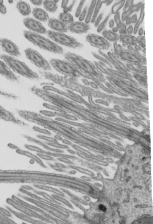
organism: Mouse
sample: Mouse epididymis efferent ductule cilia